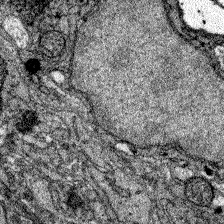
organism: Zebrafish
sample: Larval olfactory bulb